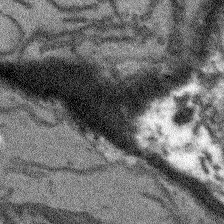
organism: Arabidopsis thaliana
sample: Root tip